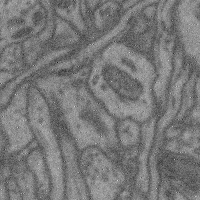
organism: Mouse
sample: Cerebral cortex